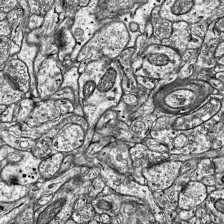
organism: Mouse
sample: Visual Cortex